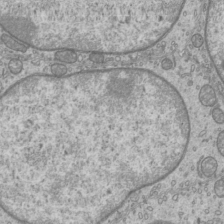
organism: Mouse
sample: Cilia; mouse epididymis